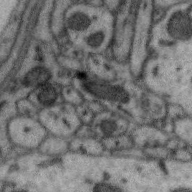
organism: Zebra finch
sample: Brain